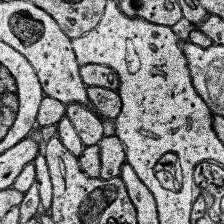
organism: Human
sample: Temporal Lobe